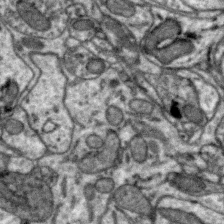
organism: Zebra finch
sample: Brain